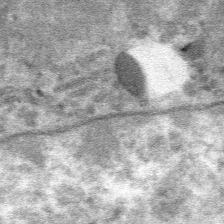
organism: Mouse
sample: Mouse hepatocytes